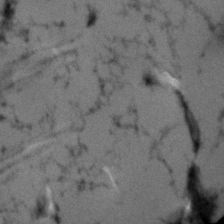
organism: Human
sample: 1205lu cells